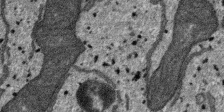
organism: Human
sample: Lung epithelial cells, uninfected (mock) control